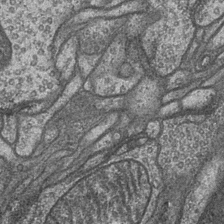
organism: Drosophila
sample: Optic medulla